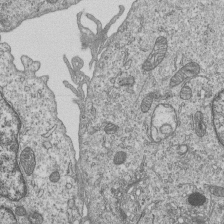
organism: Human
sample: MDA-MB-231 cells